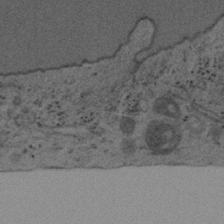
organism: Human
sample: HeLa cells